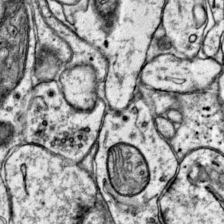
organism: Mouse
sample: Primary visual cortex